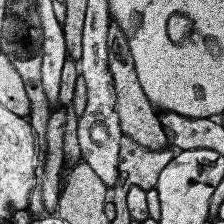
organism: Human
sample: Temporal Lobe